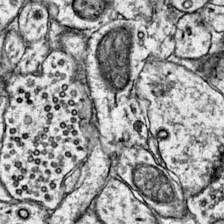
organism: Mouse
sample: Primary visual cortex